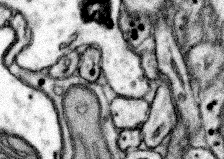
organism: Mouse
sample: Somatosensory cortex neuropil